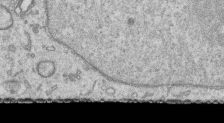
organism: Human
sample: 1205lu cells